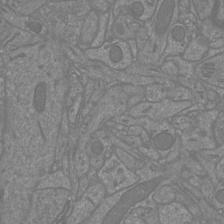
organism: Mouse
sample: Cortical neurons